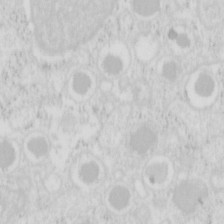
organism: Mouse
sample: Pancreas